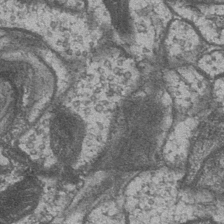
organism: Drosophila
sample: Optic medulla